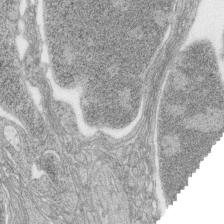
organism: Zebrafish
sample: synaptic ribbons in rod cells and cone cells